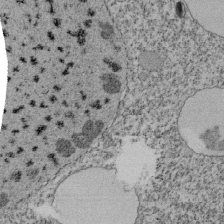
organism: Tetrahymena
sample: Cilia in tetrahymena